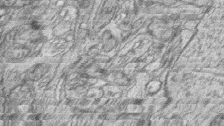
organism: Zebrafish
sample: synaptic ribbons in rod cells and cone cells